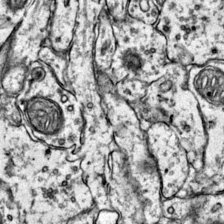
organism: Mouse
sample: Primary visual cortex